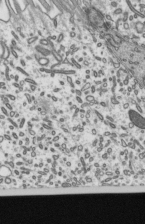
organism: Mouse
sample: Mouse epididymis efferent ductule cilia